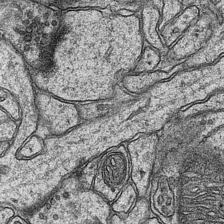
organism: Mouse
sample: CA1 Hippocampus